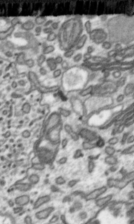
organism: Toxoplasma gondii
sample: Parasites in a vacuole inside a host cell